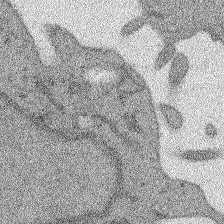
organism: Human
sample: HeLa cells